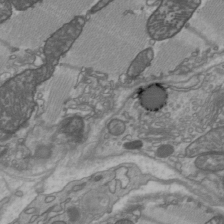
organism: C57BL Mouse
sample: Heart